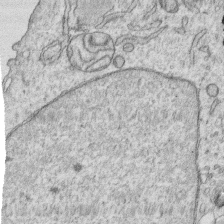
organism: Human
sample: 1205lu cells